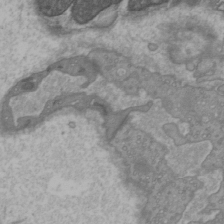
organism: C57BL Mouse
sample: Heart